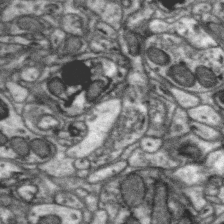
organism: Zebra finch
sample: Brain